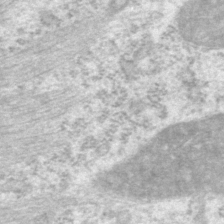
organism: P. pacificus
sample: Pharynx